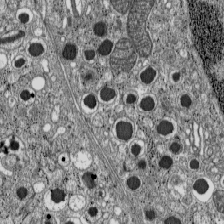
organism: C57BL Mouse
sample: Pancreatic islet